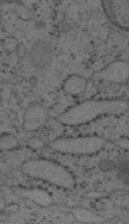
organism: Human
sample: HeLa cells